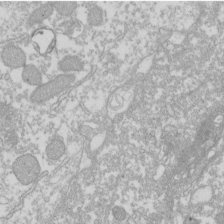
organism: Xenopus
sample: Cilia; centrioles in frog embryo cells